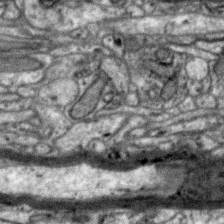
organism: Zebra finch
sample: Brain